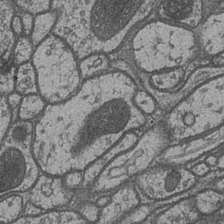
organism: Drosophila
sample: Optic medulla